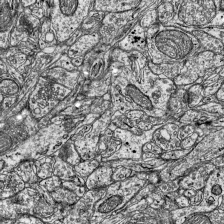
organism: Mouse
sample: Visual Cortex